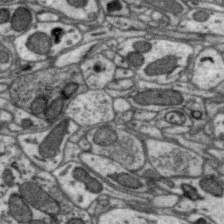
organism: Zebra finch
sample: Brain